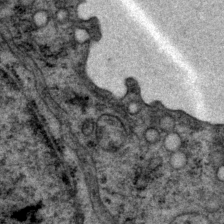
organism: P. pacificus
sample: Pharynx